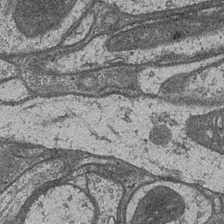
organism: Drosophila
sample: Optic medulla